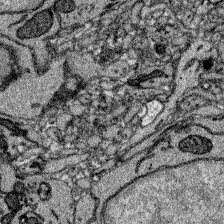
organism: Zebrafish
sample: Larval olfactory bulb